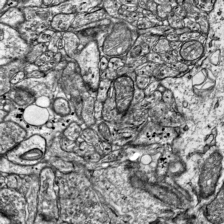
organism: Mouse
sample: Visual Cortex